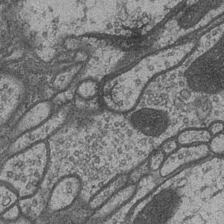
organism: Drosophila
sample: Optic medulla